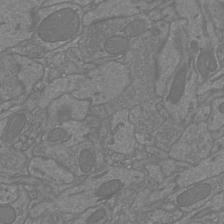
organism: Mouse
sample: Cortical neurons